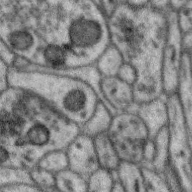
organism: Zebra finch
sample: Brain